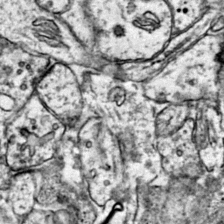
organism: Mouse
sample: Primary visual cortex